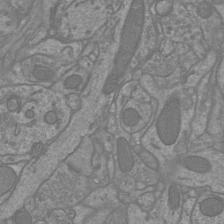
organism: Mouse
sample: Cortical neurons